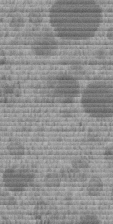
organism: C. elegans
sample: C. elegans embryo early stage